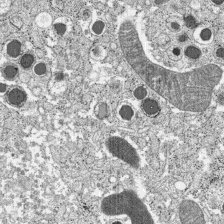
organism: C57BL Mouse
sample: Pancreatic islet